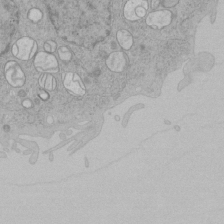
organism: Human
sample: Mitochondria in HCT116 cells